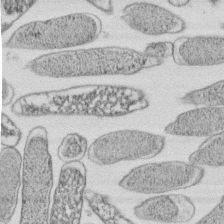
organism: E. coli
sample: Bacterial nucleoid